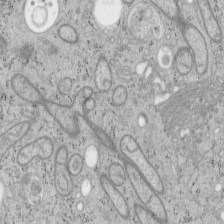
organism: Mouse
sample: OT-I killer T cells with ID8 ovarian cancer cells